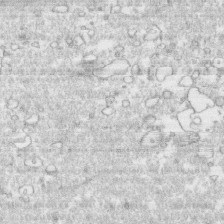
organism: Human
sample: CRL-1474